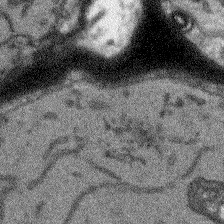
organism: Arabidopsis thaliana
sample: Root tip